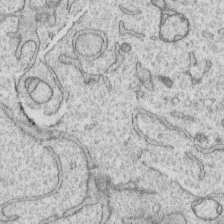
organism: Human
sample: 1205lu cells